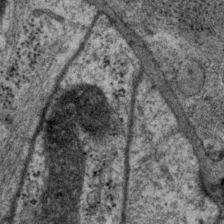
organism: P. pacificus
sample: Pharynx